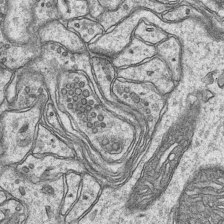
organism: Mouse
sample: CA1 Hippocampus